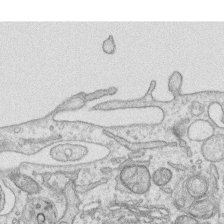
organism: Human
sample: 1205lu cells